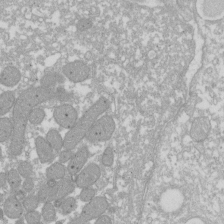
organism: Xenopus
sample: Cilia; centrioles in frog embryo cells